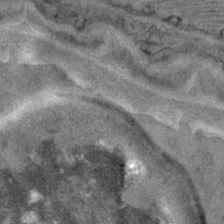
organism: C. elegans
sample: C. elegans embryo